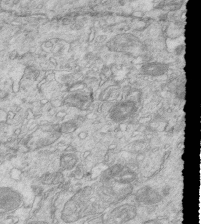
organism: Mouse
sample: Multiciliated cells